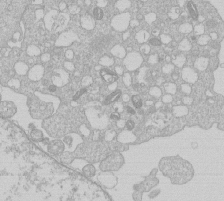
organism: Human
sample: Macrophage cells